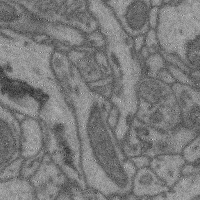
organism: Mouse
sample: Cerebral cortex